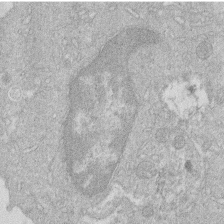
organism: Human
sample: Macrophage cells